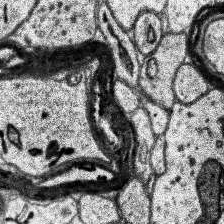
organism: Human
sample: Temporal Lobe